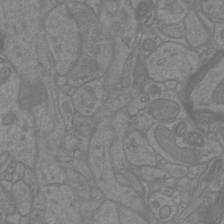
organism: Mouse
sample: Cortical neurons